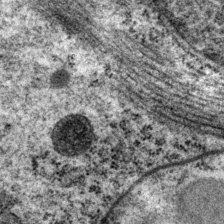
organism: P. pacificus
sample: Pharynx